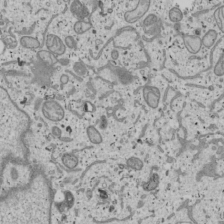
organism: Human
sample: Mitochondria in U2OS cells